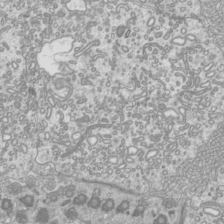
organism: Mouse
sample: Cilia; mouse epididymis